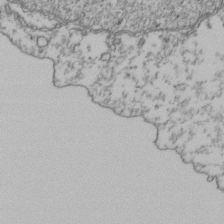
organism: Human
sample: Activated Jurkat CD4+ T cells